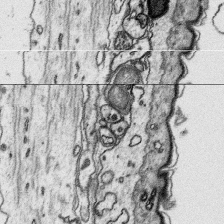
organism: Platynereis dumerilii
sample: Parapodia